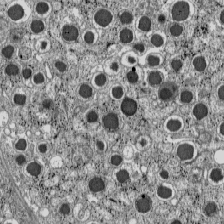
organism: C57BL Mouse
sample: Pancreatic islet